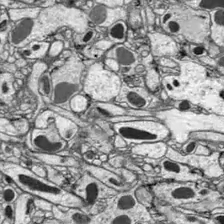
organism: Drosophila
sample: Optic lobe